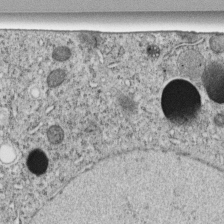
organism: C. elegans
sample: C. elegans embryo early stage